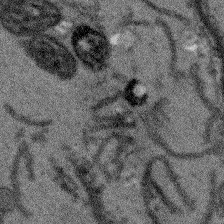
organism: Arabidopsis thaliana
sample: Root tip